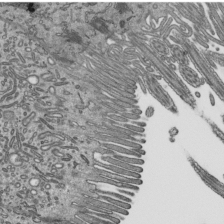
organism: Mouse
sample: Mouse epididymis efferent ductule cilia